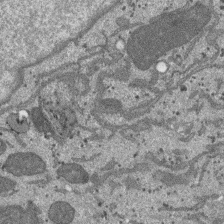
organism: Human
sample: Lung epithelial cells infected with SARS-CoV-2